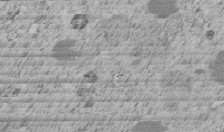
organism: C. elegans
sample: C. elegans embryo early stage